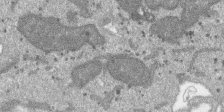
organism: Human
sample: Lung epithelial cells infected with SARS-CoV-2